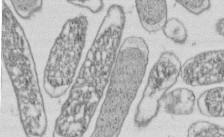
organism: E. coli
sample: Bacterial nucleoid